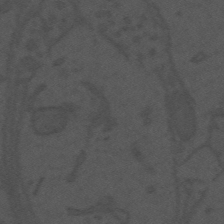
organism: Mouse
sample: Suprachiasmatic nucleus